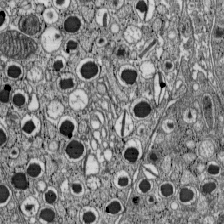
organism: C57BL Mouse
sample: Pancreatic islet